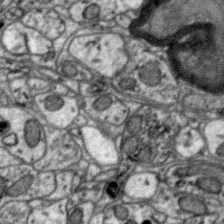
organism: Zebra finch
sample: Brain